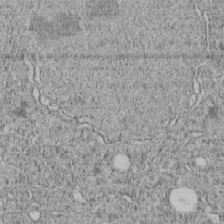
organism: C. elegans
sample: C. elegans embryo early stage